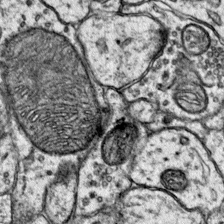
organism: Mouse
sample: Primary visual cortex